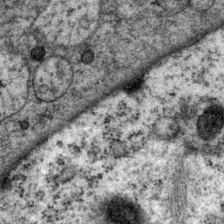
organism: P. pacificus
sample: Pharynx